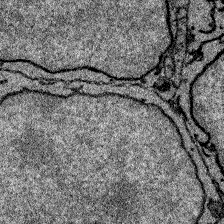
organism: Zebrafish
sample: Larval olfactory bulb